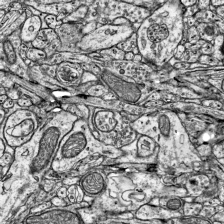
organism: Mouse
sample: Visual Cortex